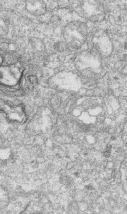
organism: Human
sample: HeLa cell HIV synapse